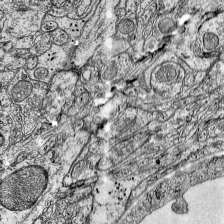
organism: Mouse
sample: Visual Cortex